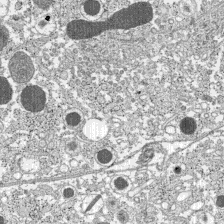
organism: C57BL Mouse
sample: Pancreatic islet